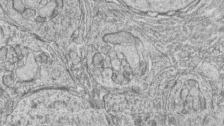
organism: Zebrafish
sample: synaptic ribbons in rod cells and cone cells